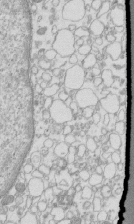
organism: Mouse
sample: Macrophages